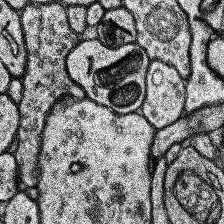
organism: Human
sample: Temporal Lobe